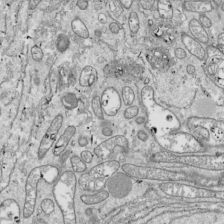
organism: Drosophila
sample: Cell division; meiosis; drosophila spermatocytes